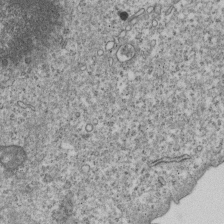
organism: Human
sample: MDA-MB-231 cells